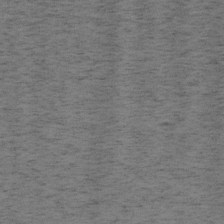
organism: Mouse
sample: OT-I killer T cells with ID8 ovarian cancer cells